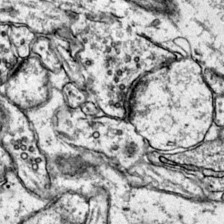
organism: Mouse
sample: Primary visual cortex